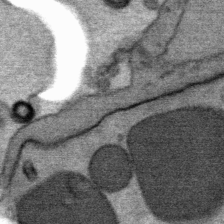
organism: Mouse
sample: Mouse Salivary gland